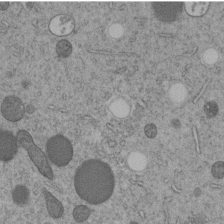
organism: C. elegans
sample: C. elegans embryo early stage